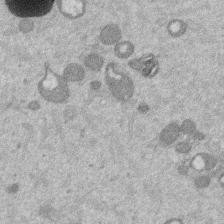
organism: Mouse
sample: Dividing mouse embryo 1 cell stage